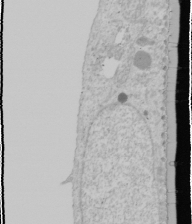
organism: Human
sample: Mitochondria in U2OS cells